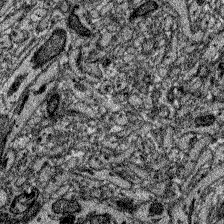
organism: Zebrafish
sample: Larval olfactory bulb